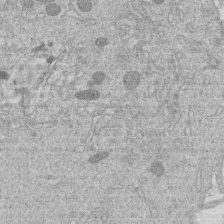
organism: Human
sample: Macrophage cells